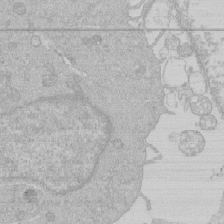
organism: Human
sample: Macrophage cells